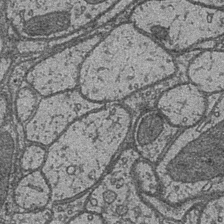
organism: Drosophila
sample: Optic medulla